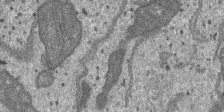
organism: Human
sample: Lung epithelial cells infected with SARS-CoV-2